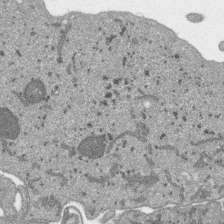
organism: Human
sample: Lung epithelial cells infected with SARS-CoV-2